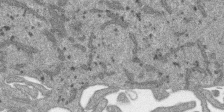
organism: Human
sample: Lung epithelial cells infected with SARS-CoV-2